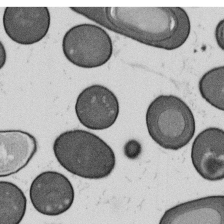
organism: B. subtilis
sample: Bacterial spore